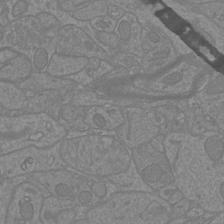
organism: Mouse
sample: Cortical neurons